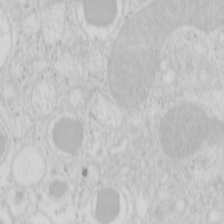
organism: Mouse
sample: Pancreas